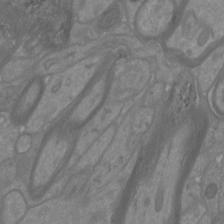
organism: Mouse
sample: Cortical neurons